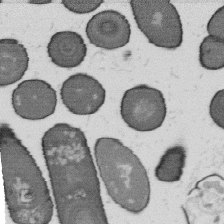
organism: B. subtilis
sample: Bacterial spore